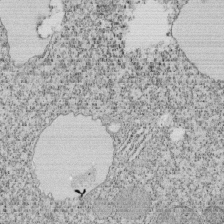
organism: Tetrahymena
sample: Cilia in tetrahymena